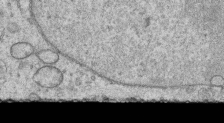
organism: Human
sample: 1205lu cells